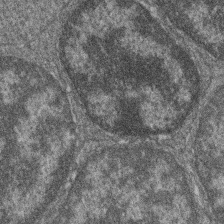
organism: Zebrafish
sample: Cilia; retinal pigment epithelium